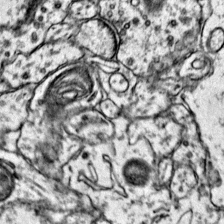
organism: Mouse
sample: Primary visual cortex